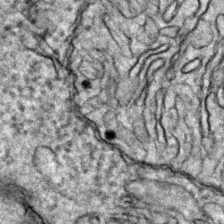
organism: Zebrafish